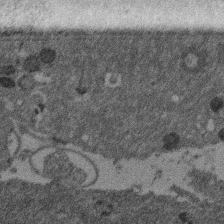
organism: Mouse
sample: Dividing mouse embryo 1 cell stage